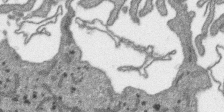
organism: Human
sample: Lung epithelial cells infected with SARS-CoV-2